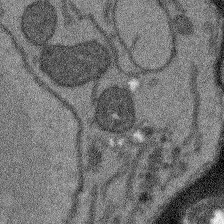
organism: Arabidopsis thaliana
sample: Root tip